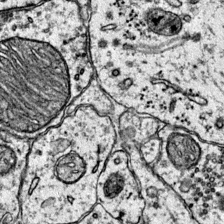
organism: Mouse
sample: Primary visual cortex